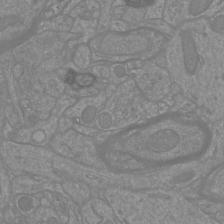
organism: Mouse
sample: Cortical neurons